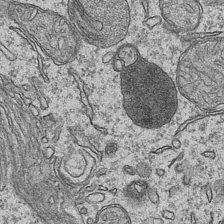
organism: Mouse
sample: CA1 Hippocampus